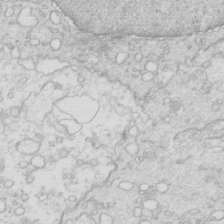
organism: Mouse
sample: Multiciliated cells